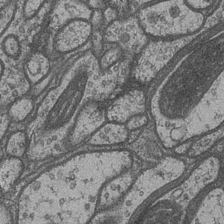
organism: Drosophila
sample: Optic medulla